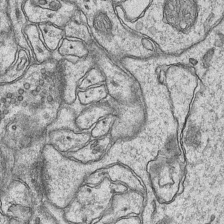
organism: Mouse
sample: CA1 Hippocampus